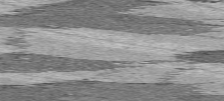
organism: C57BL Mouse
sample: Heart